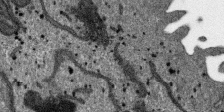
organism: Human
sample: Lung epithelial cells, uninfected (mock) control